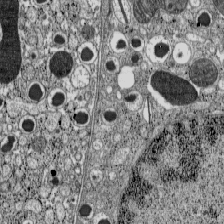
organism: C57BL Mouse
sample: Pancreatic islet